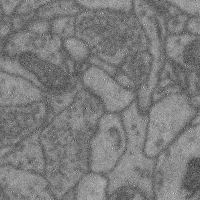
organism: Mouse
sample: Cerebral cortex